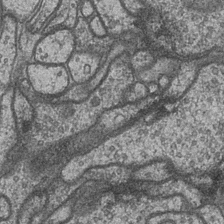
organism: Drosophila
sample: Optic medulla